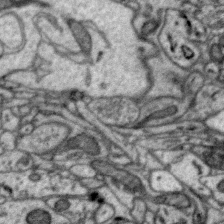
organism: Zebra finch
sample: Brain